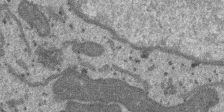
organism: Human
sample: Lung epithelial cells infected with SARS-CoV-2